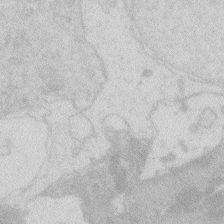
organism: Zebrafish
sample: Macrophage